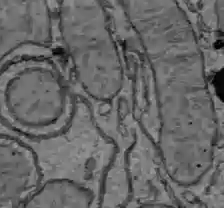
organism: C57BL Mouse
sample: Liver